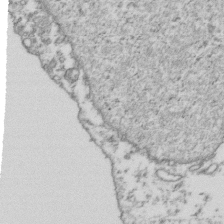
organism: Human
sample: Activated Jurkat CD4+ T cells